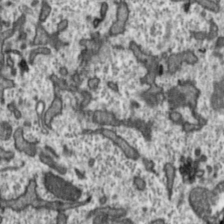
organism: Toxoplasma gondii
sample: Parasites in a vacuole inside a host cell